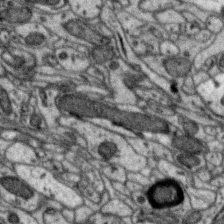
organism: Zebra finch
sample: Brain